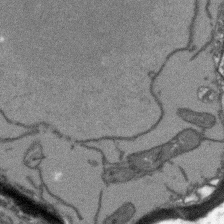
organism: Arabidopsis thaliana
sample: Root tip